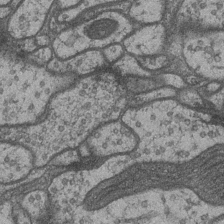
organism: Drosophila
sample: Optic medulla